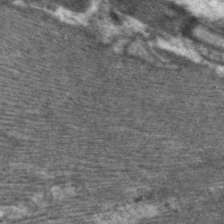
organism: C. elegans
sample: Pharynx